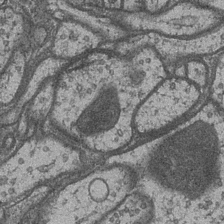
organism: Drosophila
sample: Optic medulla